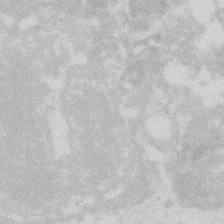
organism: Zebrafish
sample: Macrophage